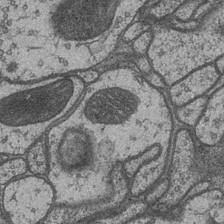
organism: Drosophila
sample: Optic medulla